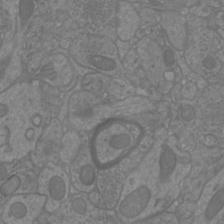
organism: Mouse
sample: Cortical neurons